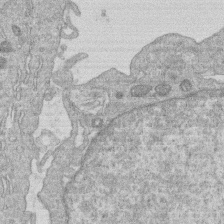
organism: Human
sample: Macrophage cells